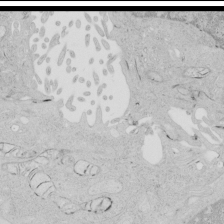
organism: Human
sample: Mitochondria in HCT116 cells